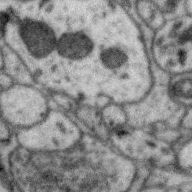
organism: Zebra finch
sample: Brain